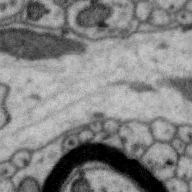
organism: Zebra finch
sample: Brain